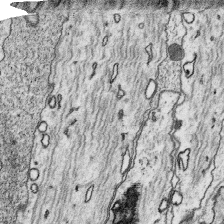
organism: Platynereis dumerilii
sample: Parapodia